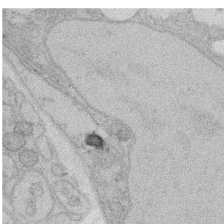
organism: Rat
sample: Salivary granule